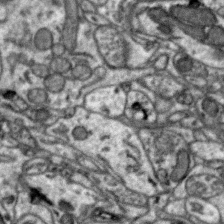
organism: Zebra finch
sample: Brain